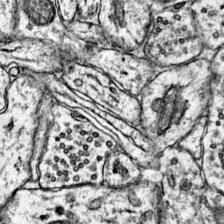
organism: Mouse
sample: Primary visual cortex